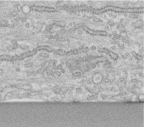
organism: Human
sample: Centriole in fibroblast cells